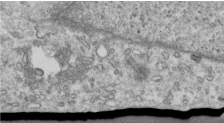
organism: Human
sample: Centriole in RPE cells